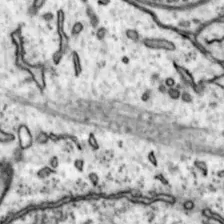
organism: Mouse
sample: Nucleus accumbens